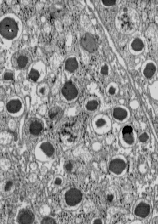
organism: C57BL Mouse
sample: Pancreatic islet